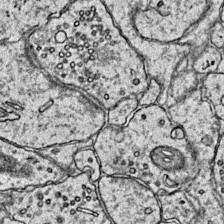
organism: Mouse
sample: Primary visual cortex